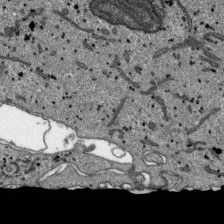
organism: Human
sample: Lung epithelial cells, uninfected (mock) control